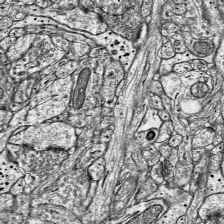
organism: Mouse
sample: Visual Cortex